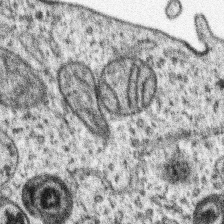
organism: Human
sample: HeLa cells